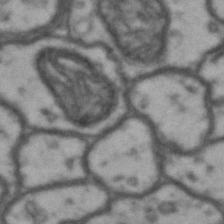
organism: Drosophila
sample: Brain